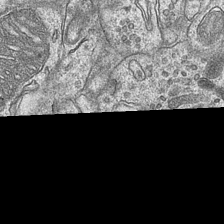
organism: Mouse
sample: CA1 Hippocampus